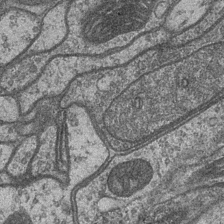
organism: Drosophila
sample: Optic medulla